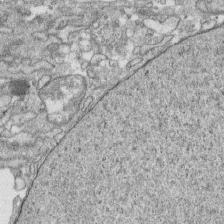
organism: Human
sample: CRL-1474